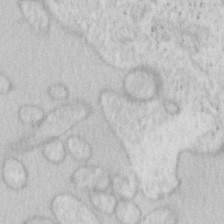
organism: Human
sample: HeLa cells